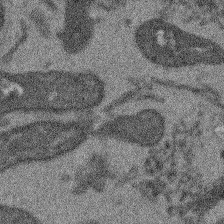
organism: Arabidopsis thaliana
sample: Root tip